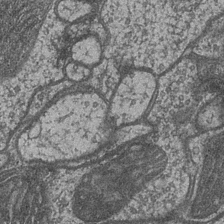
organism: Drosophila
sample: Optic medulla